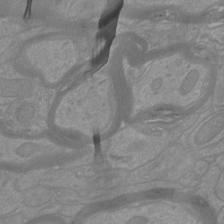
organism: Mouse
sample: Cortical neurons